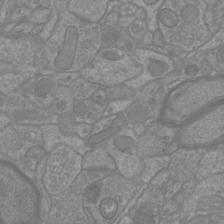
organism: Mouse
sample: Cortical neurons